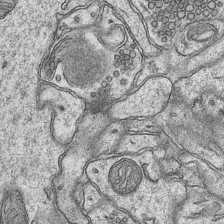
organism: Mouse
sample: CA1 Hippocampus